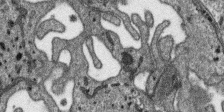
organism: Human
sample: Lung epithelial cells infected with SARS-CoV-2